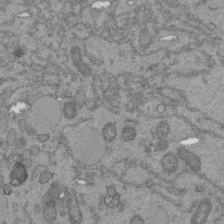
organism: C. elegans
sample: C. elegans embryo early stage